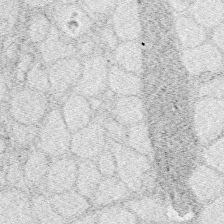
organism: Zebrafish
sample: Whole-Brain